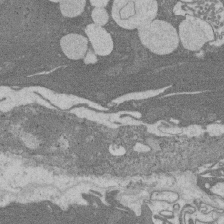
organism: Rat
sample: Salivary granule